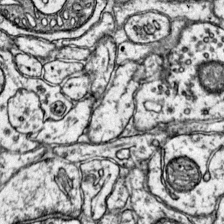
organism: Mouse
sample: Primary visual cortex